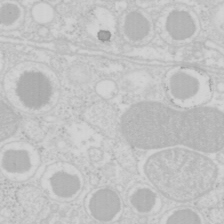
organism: Mouse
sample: Pancreas